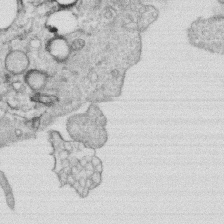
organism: Human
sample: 1205lu cells